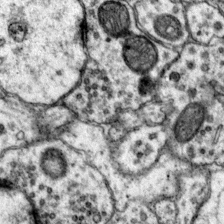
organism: Mouse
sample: Primary visual cortex